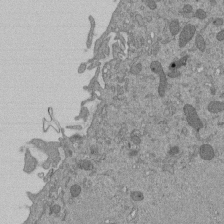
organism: Mouse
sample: ED-1 cell nuclei; centrioles